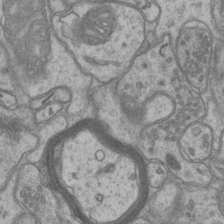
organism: Mouse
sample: CA1 Hippocampus